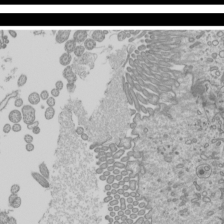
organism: Mouse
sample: Cilia; mouse epididymis